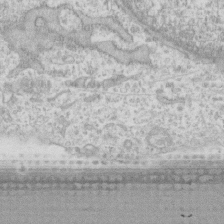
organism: Human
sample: Fibroblast cells